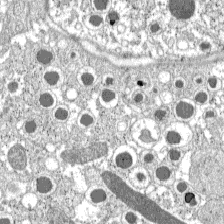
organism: C57BL Mouse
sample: Pancreatic islet